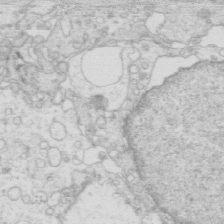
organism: Mouse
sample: Multiciliated cells